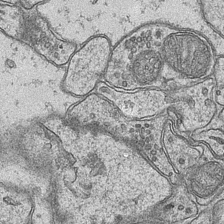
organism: Mouse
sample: CA1 Hippocampus